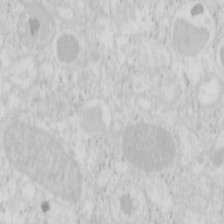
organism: Mouse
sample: Pancreas